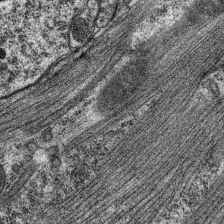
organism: C. elegans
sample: Pharynx